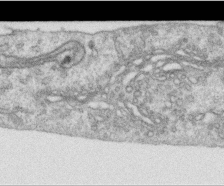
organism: Human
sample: Centriole in RPE cells